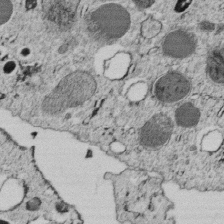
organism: C. elegans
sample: C. elegans embryo early stage